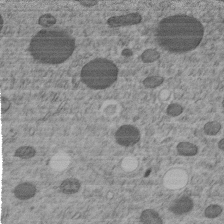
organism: C. elegans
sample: C. elegans embryo early stage